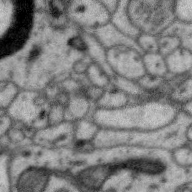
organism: Zebra finch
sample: Brain